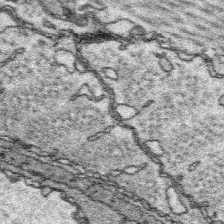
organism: Platynereis dumerilii